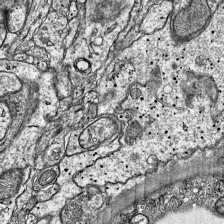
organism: Mouse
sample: Visual Cortex